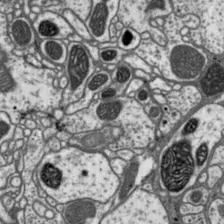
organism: Drosophila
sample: Protocerebral bridge